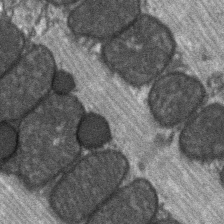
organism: C57BL Mouse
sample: Soleus